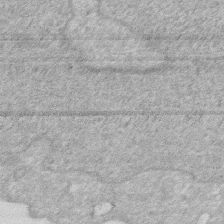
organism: Human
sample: HIV infected U937 cells